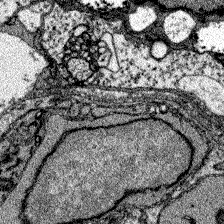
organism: Zebrafish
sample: Larval olfactory bulb